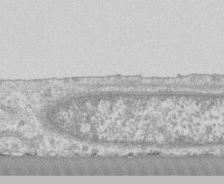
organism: Human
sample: CRL-1474